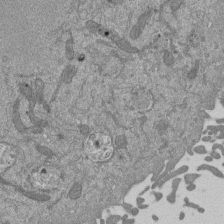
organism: Mouse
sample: ED-1 cell nuclei; centrioles